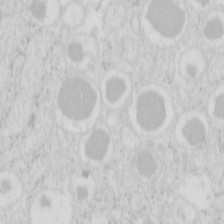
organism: Mouse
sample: Pancreas